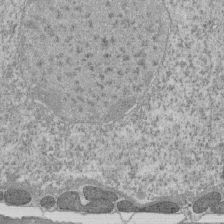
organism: Tetrahymena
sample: Cilia in tetrahymena